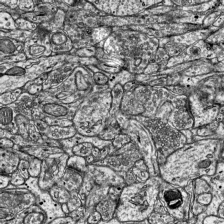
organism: Mouse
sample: Visual Cortex